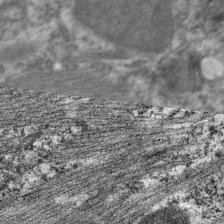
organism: C. elegans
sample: Pharynx